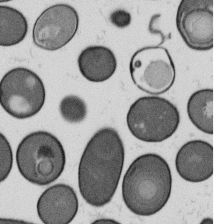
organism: B. subtilis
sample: Bacterial spore